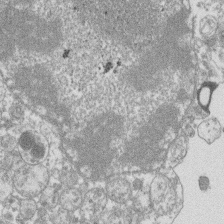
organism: Human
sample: HeLa cell HIV synapse